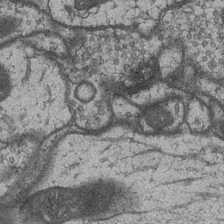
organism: Drosophila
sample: Optic medulla